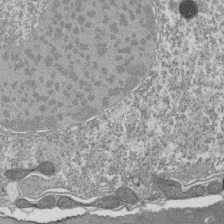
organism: Tetrahymena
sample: Cilia in tetrahymena